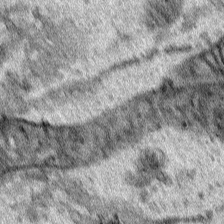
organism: Human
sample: Mitochondria in HCT116 cells